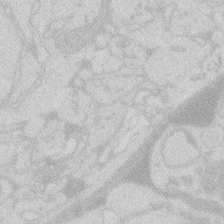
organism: Zebrafish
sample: Macrophage